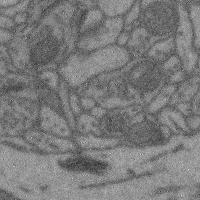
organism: Mouse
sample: Cerebral cortex